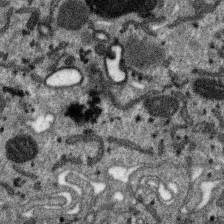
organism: Human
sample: Lung epithelial cells infected with SARS-CoV-2